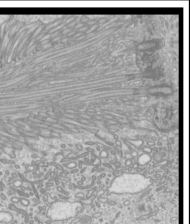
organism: Mouse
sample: Cilia; mouse epididymis